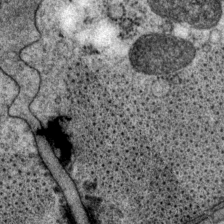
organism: P. pacificus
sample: Pharynx